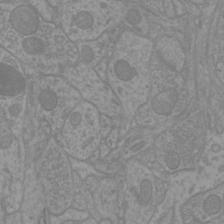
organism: Mouse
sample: Cortical neurons